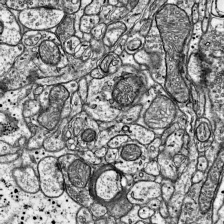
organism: Mouse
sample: Visual Cortex